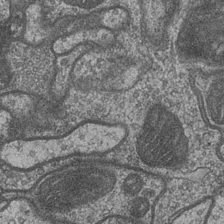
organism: Drosophila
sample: Optic medulla